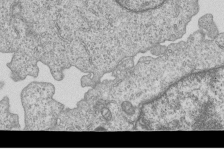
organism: Human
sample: MDA-MB-231 cells